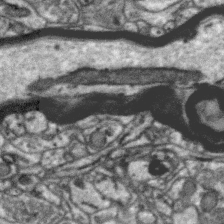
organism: Zebra finch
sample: Brain